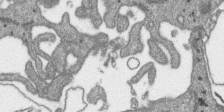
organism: Human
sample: Lung epithelial cells infected with SARS-CoV-2